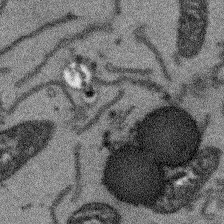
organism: Arabidopsis thaliana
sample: Root tip